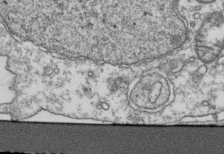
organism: Human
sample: Activated Jurkat CD4+ T cells